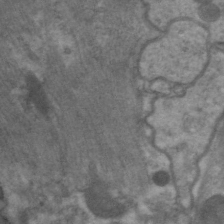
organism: C. elegans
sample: Pharynx